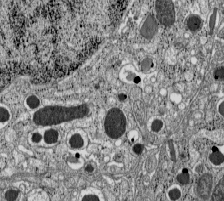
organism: C57BL Mouse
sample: Pancreatic islet